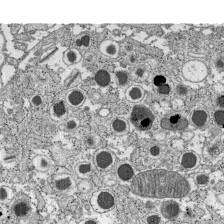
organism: C57BL Mouse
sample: Pancreatic islet